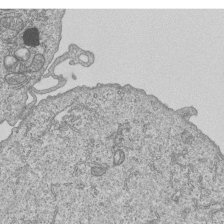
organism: Human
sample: MDA-MB-231 cells